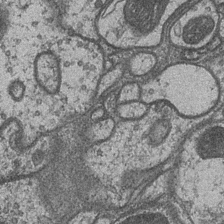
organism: Drosophila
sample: Optic medulla